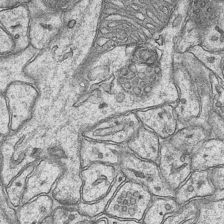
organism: Mouse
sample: CA1 Hippocampus